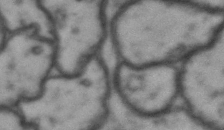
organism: Drosophila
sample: Brain